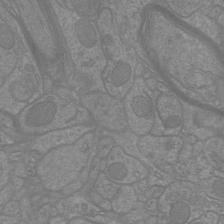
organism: Mouse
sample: Cortical neurons